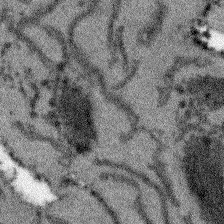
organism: Arabidopsis thaliana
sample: Root tip